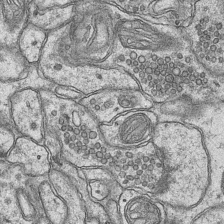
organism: Mouse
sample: CA1 Hippocampus